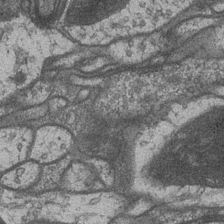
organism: Drosophila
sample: Optic medulla